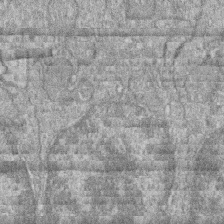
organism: Zebrafish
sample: Cilia; retinal pigment epithelium